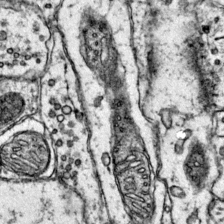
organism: Mouse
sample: Primary visual cortex